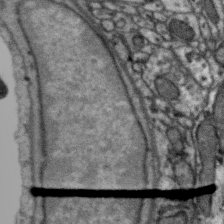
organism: Zebra finch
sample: Brain